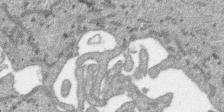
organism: Human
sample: Lung epithelial cells infected with SARS-CoV-2